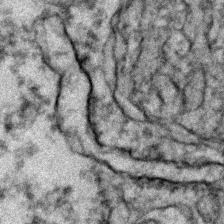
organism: Zebrafish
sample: Zebrafish embryo